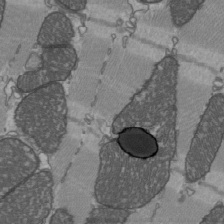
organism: C57BL Mouse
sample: Heart